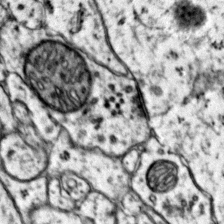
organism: Mouse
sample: Primary visual cortex